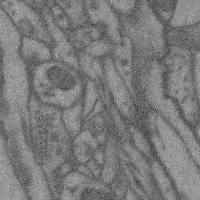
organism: Mouse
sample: Cerebral cortex